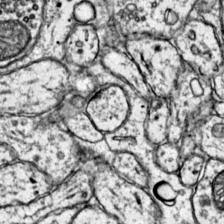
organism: Mouse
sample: Primary visual cortex